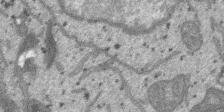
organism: Human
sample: Lung epithelial cells infected with SARS-CoV-2